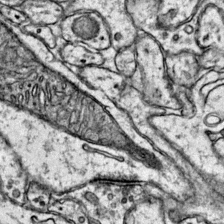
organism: Mouse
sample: Primary visual cortex